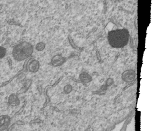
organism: Human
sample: MDA-MB-231 cells